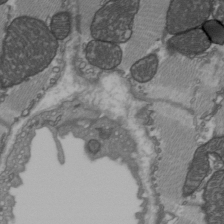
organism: C57BL Mouse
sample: Heart